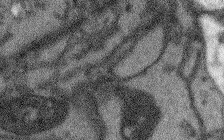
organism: Arabidopsis thaliana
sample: Root tip